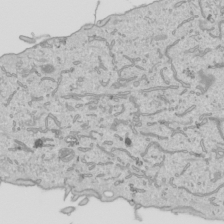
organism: Human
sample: Mitochondria in HCT116 cells